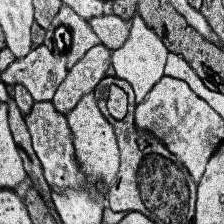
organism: Human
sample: Temporal Lobe